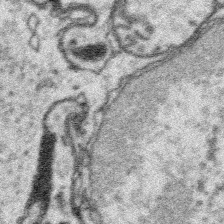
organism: Platynereis dumerilii